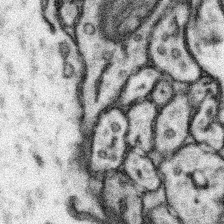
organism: Mouse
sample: Somatosensory cortex neuropil